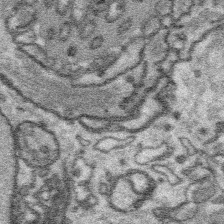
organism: Platynereis dumerilii